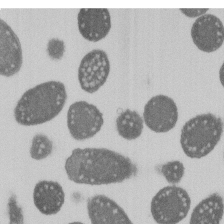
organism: E. coli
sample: Bacterial nucleoid